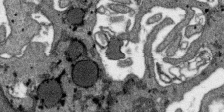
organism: Human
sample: Lung epithelial cells, uninfected (mock) control